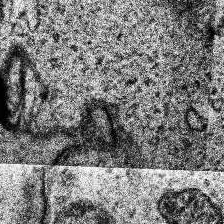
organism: Human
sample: Temporal Lobe